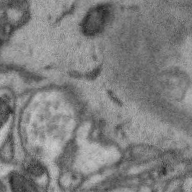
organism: Zebra finch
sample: Brain